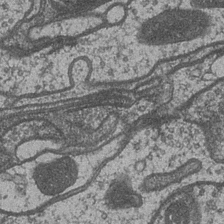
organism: Drosophila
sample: Optic medulla